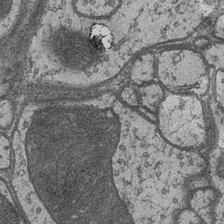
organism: Drosophila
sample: Optic medulla